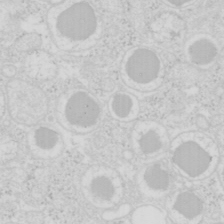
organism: Mouse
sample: Pancreas